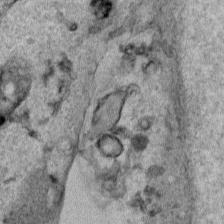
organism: Human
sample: Mitochondria in HCT116 cells